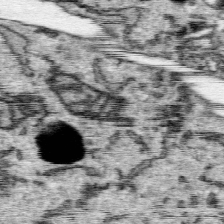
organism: Human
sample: HeLa cells